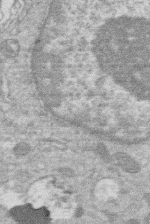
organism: Human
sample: Macrophage cells